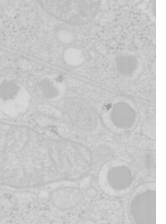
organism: Mouse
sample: Pancreas